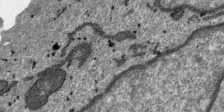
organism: Human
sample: Lung epithelial cells, uninfected (mock) control